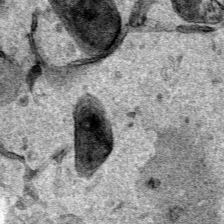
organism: Human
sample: Mitochondria in HCT116 cells